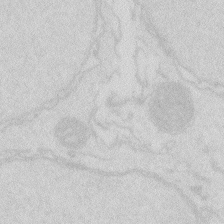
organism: Zebrafish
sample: Macrophage